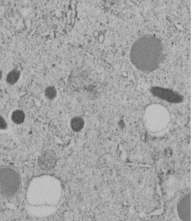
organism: C. elegans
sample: C. elegans embryo early stage